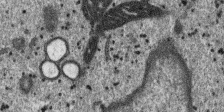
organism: Human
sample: Lung epithelial cells infected with SARS-CoV-2